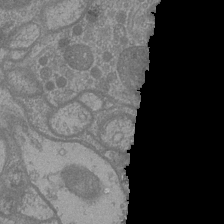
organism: Drosophila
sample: Optic medulla